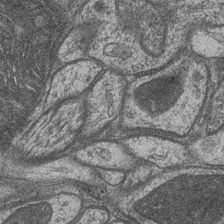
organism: Drosophila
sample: Optic medulla